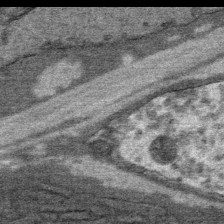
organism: Mouse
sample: Mouse Salivary gland